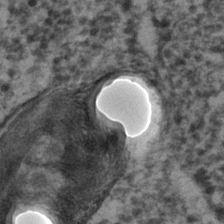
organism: C. elegans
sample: C. elegans embryo